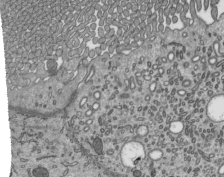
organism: Mouse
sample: Mouse epididymis efferent ductule cilia